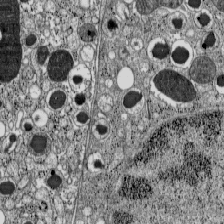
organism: C57BL Mouse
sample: Pancreatic islet